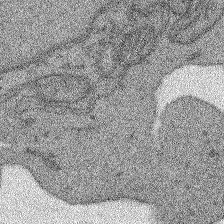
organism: Human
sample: HeLa cells